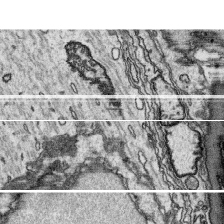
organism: Platynereis dumerilii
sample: Parapodia